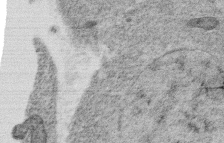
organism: C. elegans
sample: C. elegans oocyte; sperm cells